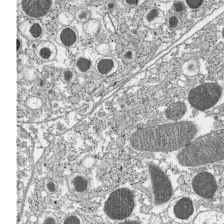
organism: C57BL Mouse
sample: Pancreatic islet